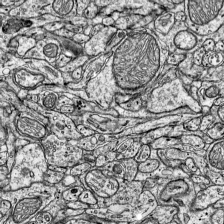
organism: Mouse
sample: Visual Cortex